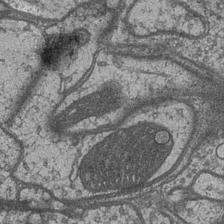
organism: Drosophila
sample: Optic medulla